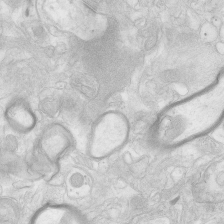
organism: Human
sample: Neocortex